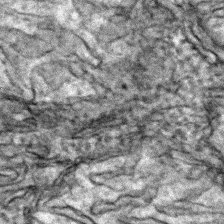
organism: Zebrafish